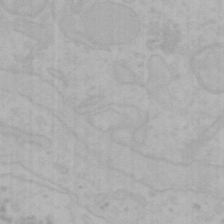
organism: Mouse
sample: Choroid plexus